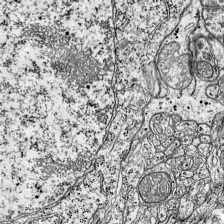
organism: Mouse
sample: Visual Cortex